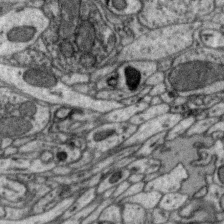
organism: Zebra finch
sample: Brain